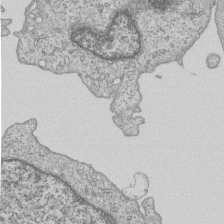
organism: Human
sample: MDA-MB-231 cells